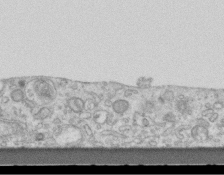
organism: Mouse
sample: Centriole in ependymal cells